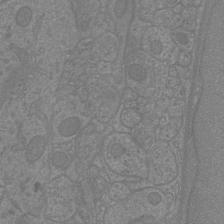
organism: Mouse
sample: Cortical neurons